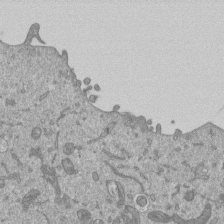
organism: Mouse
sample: ED-1 cell nuclei; centrioles